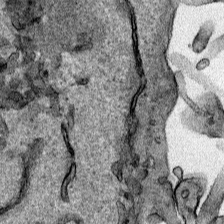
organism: Human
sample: Mitochondria in HCT116 cells